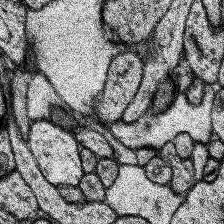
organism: Human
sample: Temporal Lobe